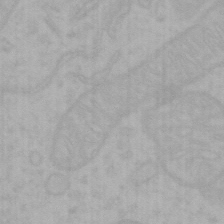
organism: Mouse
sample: Choroid plexus